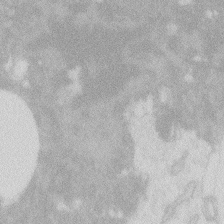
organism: Zebrafish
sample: Macrophage